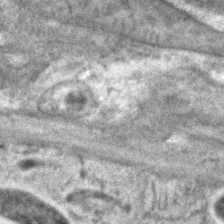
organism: C. elegans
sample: C. elegans embryo